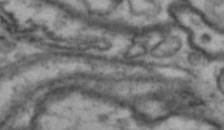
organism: Drosophila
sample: Brain